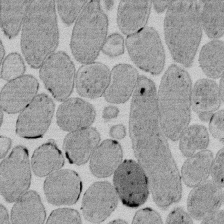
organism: E. coli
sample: Bacterial nucleoid